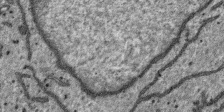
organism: Human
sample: Lung epithelial cells, uninfected (mock) control